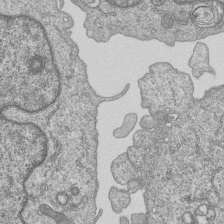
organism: Human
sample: MDA-MB-231 cells